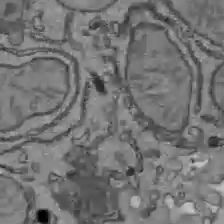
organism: C57BL Mouse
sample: Liver